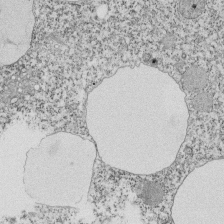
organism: Tetrahymena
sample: Cilia in tetrahymena